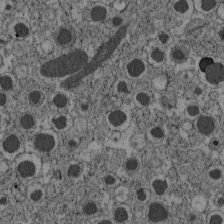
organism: C57BL Mouse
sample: Pancreatic islet